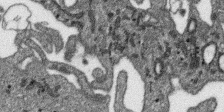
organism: Human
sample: Lung epithelial cells infected with SARS-CoV-2